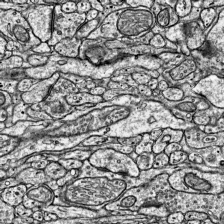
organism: Mouse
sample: Visual Cortex